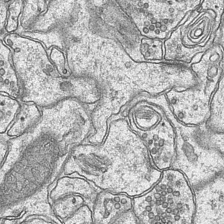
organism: Mouse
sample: CA1 Hippocampus